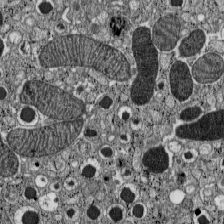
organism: C57BL Mouse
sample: Pancreatic islet